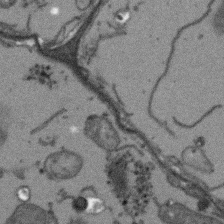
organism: Arabidopsis thaliana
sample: Root tip